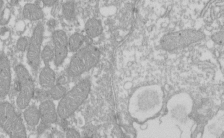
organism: Xenopus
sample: Cilia; centrioles in frog embryo cells